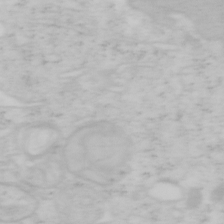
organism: Mouse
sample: OT-I killer T cells with ID8 ovarian cancer cells